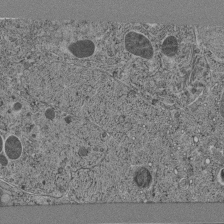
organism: C. elegans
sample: C. elegans pharynx